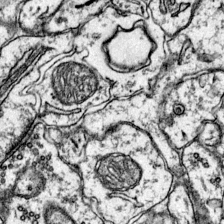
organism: Mouse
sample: Primary visual cortex